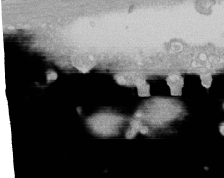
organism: Human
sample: CRL-1474